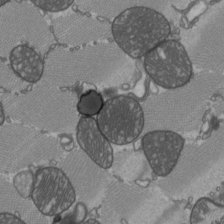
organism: C57BL Mouse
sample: Heart